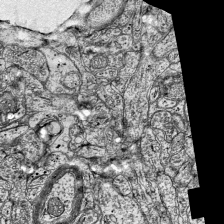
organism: Mouse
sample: Visual Cortex